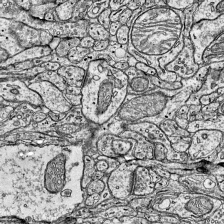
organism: Mouse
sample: Visual Cortex